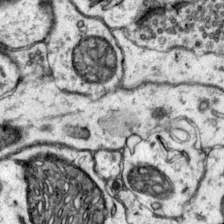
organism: Mouse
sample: Primary visual cortex